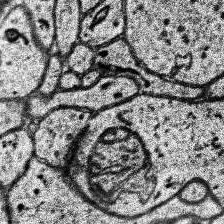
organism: Human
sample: Temporal Lobe